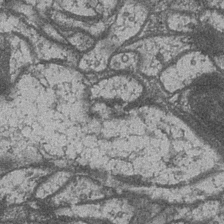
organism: Drosophila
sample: Optic medulla